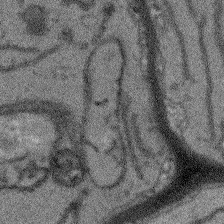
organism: Arabidopsis thaliana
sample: Root tip